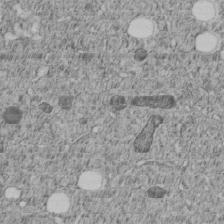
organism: C. elegans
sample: C. elegans embryo early stage